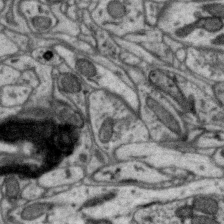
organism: Zebra finch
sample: Brain